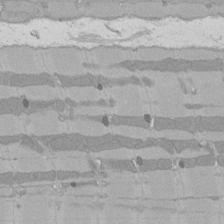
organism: Rat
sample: Left ventricle